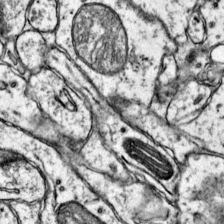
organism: Mouse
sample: Primary visual cortex